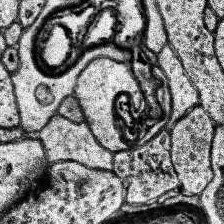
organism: Human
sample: Temporal Lobe